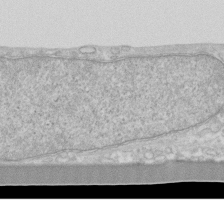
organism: Human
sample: Fibroblast cells